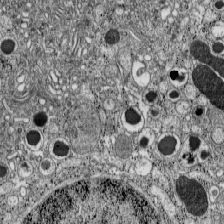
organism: C57BL Mouse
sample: Pancreatic islet